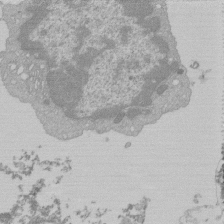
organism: Mouse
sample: Activated Pmel transgenic CD8+ T Cells